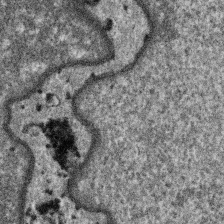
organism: Human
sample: Lung epithelial cells infected with SARS-CoV-2